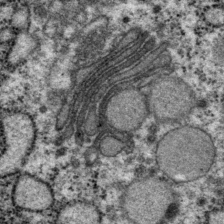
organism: P. pacificus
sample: Pharynx